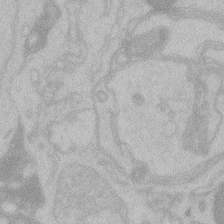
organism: Zebrafish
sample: Macrophage infected with Toxoplasma gondii